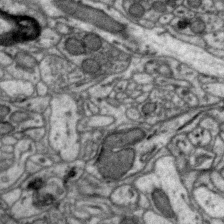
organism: Zebra finch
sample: Brain